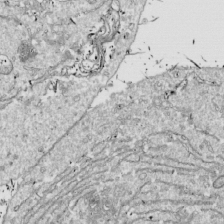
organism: Drosophila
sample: Cell division; meiosis; drosophila spermatocytes